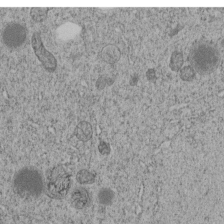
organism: C. elegans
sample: C. elegans embryo early stage